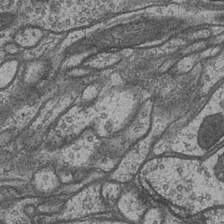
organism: Drosophila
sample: Optic medulla